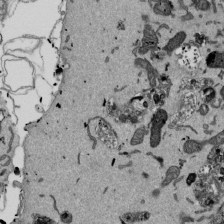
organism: Mouse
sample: ED-1 cell nuclei; centrioles